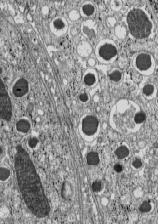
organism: C57BL Mouse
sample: Pancreatic islet